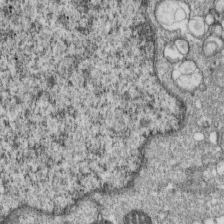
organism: African green monkey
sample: Vero E6 cells infected with SARS-CoV-2